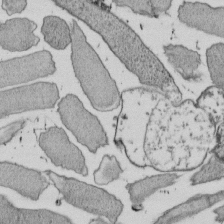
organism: E. coli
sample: Bacterial nucleoid